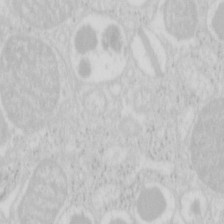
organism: Mouse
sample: Pancreas